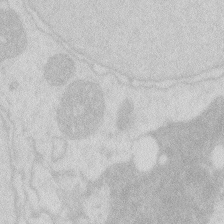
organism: Zebrafish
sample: Macrophage